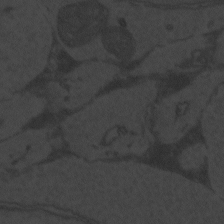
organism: Zebrafish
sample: Macrophage infected with Toxoplasma gondii